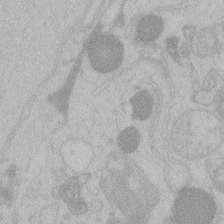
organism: Zebrafish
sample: Macrophage infected with Toxoplasma gondii